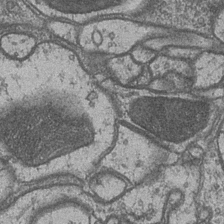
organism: Drosophila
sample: Optic medulla